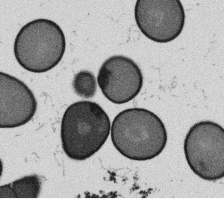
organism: B. subtilis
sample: Bacterial spore